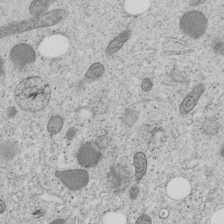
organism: C. elegans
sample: C. elegans embryo early stage